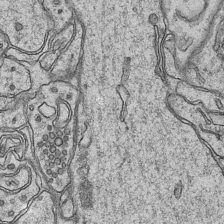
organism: Mouse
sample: CA1 Hippocampus